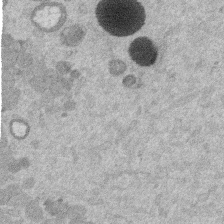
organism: Mouse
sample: Dividing mouse embryo 1 cell stage